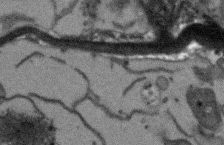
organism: Arabidopsis thaliana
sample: Root tip